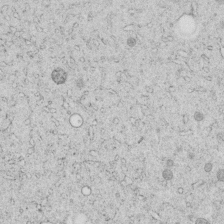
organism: C. elegans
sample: C. elegans embryo early stage